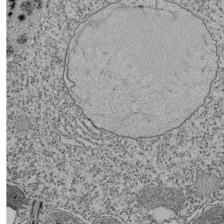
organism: Tetrahymena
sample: Cilia in tetrahymena